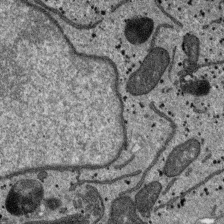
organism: Human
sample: Lung epithelial cells, uninfected (mock) control